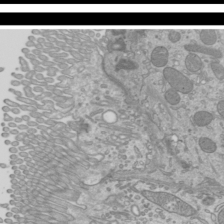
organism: Mouse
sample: Cilia; mouse epididymis